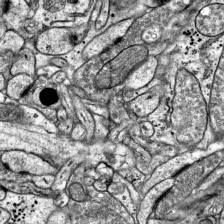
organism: Mouse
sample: Visual Cortex